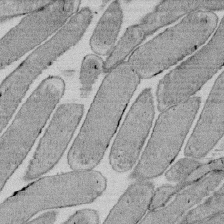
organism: E. coli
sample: Bacterial nucleoid